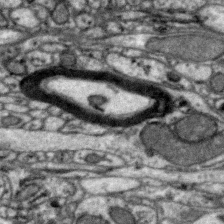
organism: Zebra finch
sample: Brain